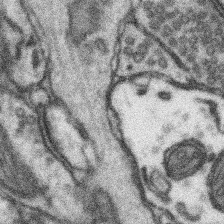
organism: Mouse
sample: Somatosensory cortex neuropil